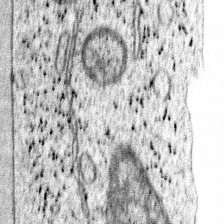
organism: Human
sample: HeLa cells